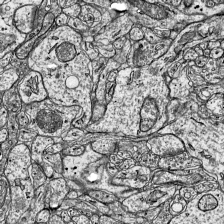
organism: Mouse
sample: Visual Cortex